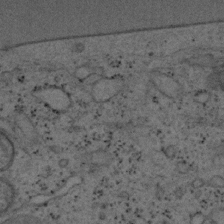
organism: Human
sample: HeLa cells